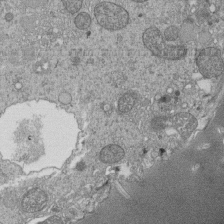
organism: Tetrahymena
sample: Cilia in tetrahymena